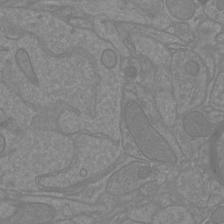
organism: Mouse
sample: Cortical neurons